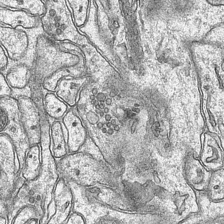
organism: Mouse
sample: CA1 Hippocampus